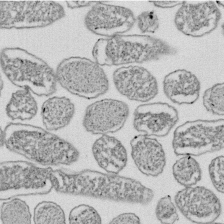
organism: E. coli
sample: Bacterial nucleoid